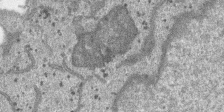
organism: Human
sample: Lung epithelial cells infected with SARS-CoV-2